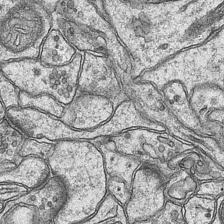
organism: Mouse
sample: CA1 Hippocampus